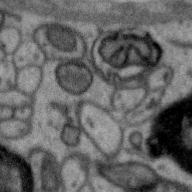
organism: Zebra finch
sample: Brain